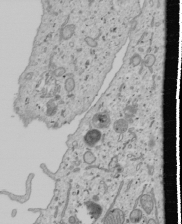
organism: Human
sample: Mitochondria in U2OS cells